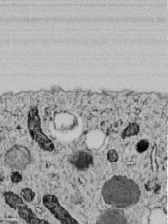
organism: C. elegans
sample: C. elegans embryo early stage